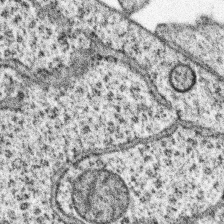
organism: Human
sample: HeLa cells